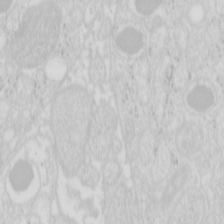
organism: Mouse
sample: Pancreas